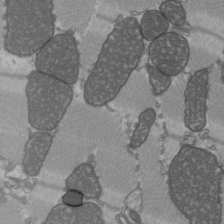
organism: C57BL Mouse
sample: Heart